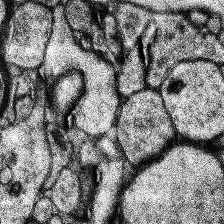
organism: Human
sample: Temporal Lobe